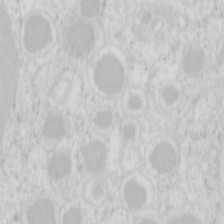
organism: Mouse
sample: Pancreas